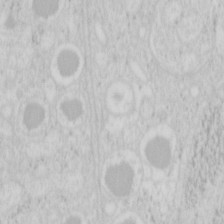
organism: Mouse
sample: Pancreas